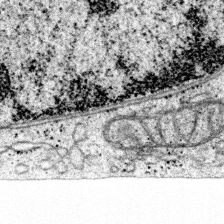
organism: Human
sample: HeLa cells